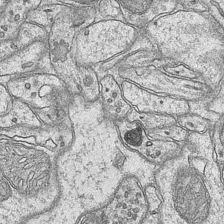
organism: Mouse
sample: CA1 Hippocampus